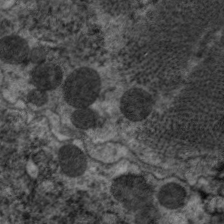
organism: C. elegans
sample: Pharynx